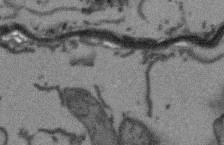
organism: Arabidopsis thaliana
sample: Root tip